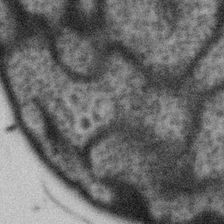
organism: Gemmata obscuriglobus